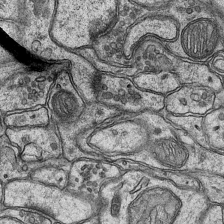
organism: Mouse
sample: CA1 Hippocampus